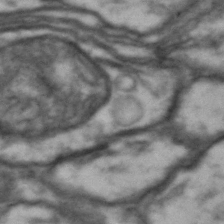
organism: Drosophila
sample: Brain